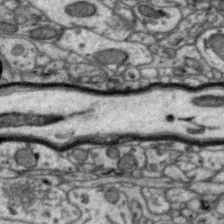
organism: Zebra finch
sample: Brain